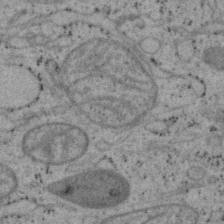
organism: Human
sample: HeLa cells